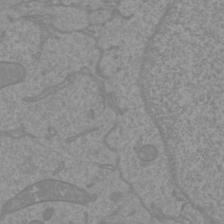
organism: Mouse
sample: Cortical neurons